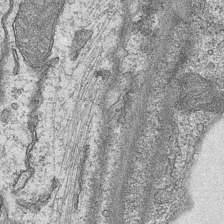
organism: Mouse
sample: CA1 Hippocampus